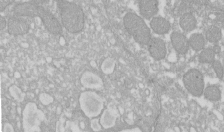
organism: Xenopus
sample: Cilia; centrioles in frog embryo cells